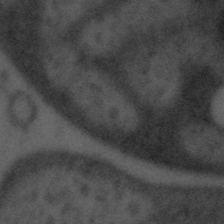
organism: Tuwongella immobilis